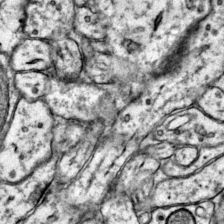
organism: Mouse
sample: Primary visual cortex